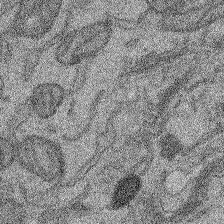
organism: Human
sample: HeLa cells